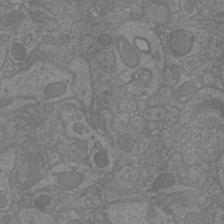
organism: Mouse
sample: Cortical neurons